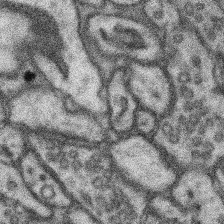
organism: Mouse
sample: Somatosensory cortex neuropil